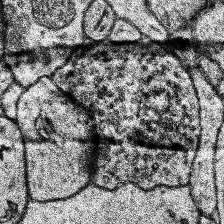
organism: Human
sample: Temporal Lobe